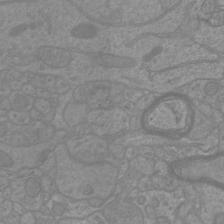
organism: Mouse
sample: Cortical neurons